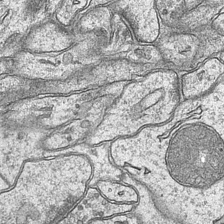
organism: Mouse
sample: CA1 Hippocampus